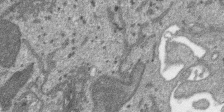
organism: Human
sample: Lung epithelial cells infected with SARS-CoV-2